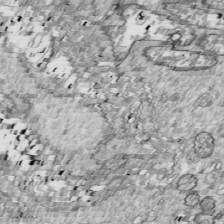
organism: Drosophila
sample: Cell division; meiosis; drosophila spermatocytes